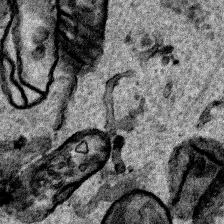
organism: Human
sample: Mitochondria in HCT116 cells